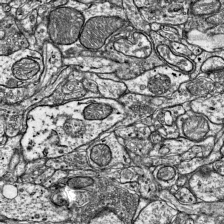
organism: Mouse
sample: Visual Cortex